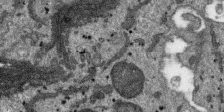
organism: Human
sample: Lung epithelial cells, uninfected (mock) control